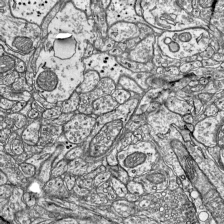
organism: Mouse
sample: Visual Cortex